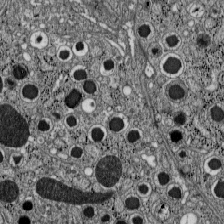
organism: C57BL Mouse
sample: Pancreatic islet